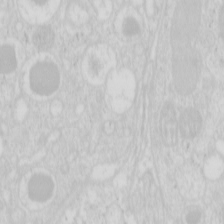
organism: Mouse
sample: Pancreas